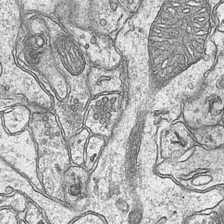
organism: Mouse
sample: CA1 Hippocampus